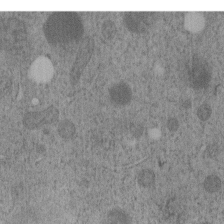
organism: C. elegans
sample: C. elegans embryo early stage